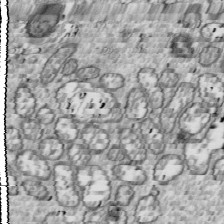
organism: Drosophila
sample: Cell division; meiosis; drosophila spermatocytes